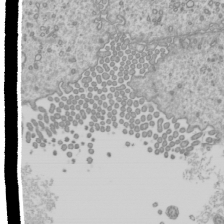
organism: Mouse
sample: Cilia; mouse epididymis